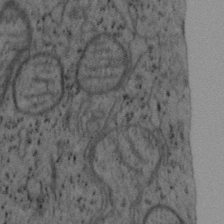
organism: Human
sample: HeLa cells